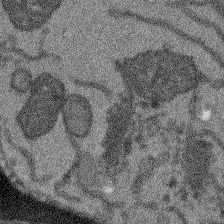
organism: Arabidopsis thaliana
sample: Root tip